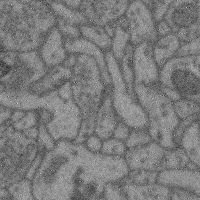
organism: Mouse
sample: Cerebral cortex